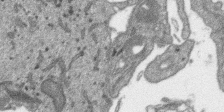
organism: Human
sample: Lung epithelial cells infected with SARS-CoV-2